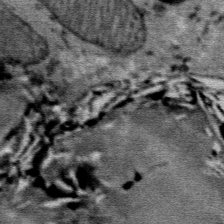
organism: Mouse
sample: Mouse Salivary gland